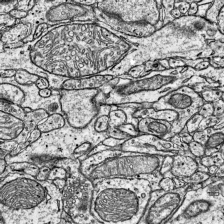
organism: Mouse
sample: Visual Cortex